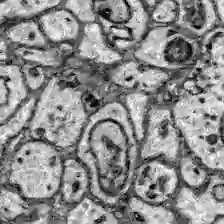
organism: Zebrafish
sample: Brain